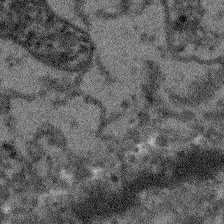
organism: Arabidopsis thaliana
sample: Root tip